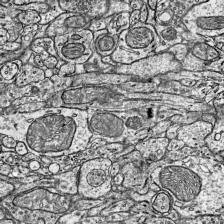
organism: Mouse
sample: Visual Cortex